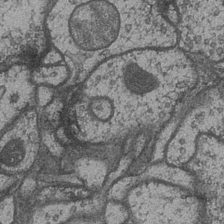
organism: Drosophila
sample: Optic medulla